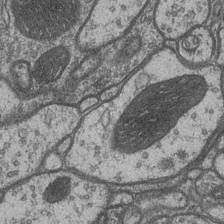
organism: Drosophila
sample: Optic medulla